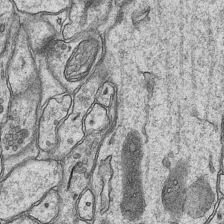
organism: Mouse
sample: CA1 Hippocampus